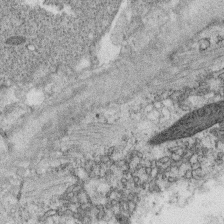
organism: C. elegans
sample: C. elegans oocyte; sperm cells